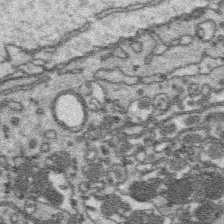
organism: Platynereis dumerilii